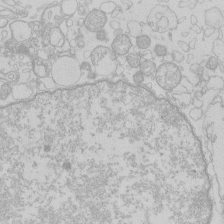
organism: Human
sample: Macrophage cells